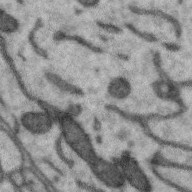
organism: Zebra finch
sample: Brain